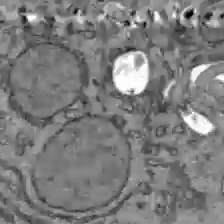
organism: C57BL Mouse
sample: Liver